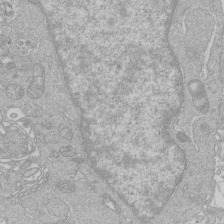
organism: Human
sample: Macrophage cells